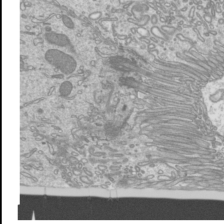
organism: Mouse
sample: Cilia; mouse epididymis